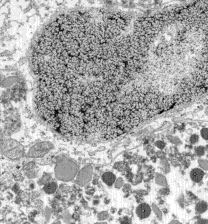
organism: C57BL Mouse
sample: Pancreatic islet